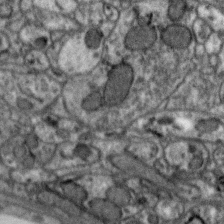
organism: Zebra finch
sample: Brain